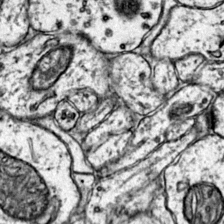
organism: Mouse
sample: Primary visual cortex